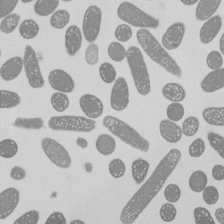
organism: E. coli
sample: Bacterial nucleoid